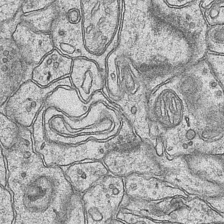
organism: Mouse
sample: CA1 Hippocampus